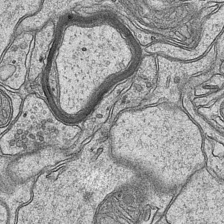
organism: Mouse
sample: CA1 Hippocampus